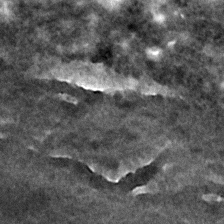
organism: C. elegans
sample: C. elegans embryo